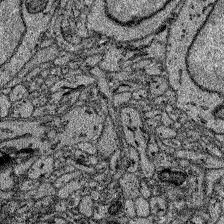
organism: Zebrafish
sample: Larval olfactory bulb